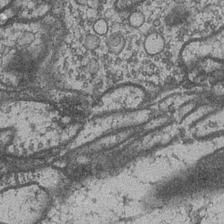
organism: Drosophila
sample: Optic medulla